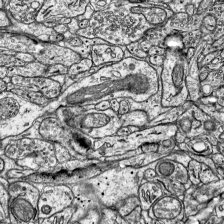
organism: Mouse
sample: Visual Cortex